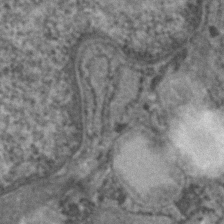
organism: Human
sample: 1205lu cells